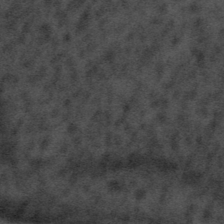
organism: Tuwongella immobilis